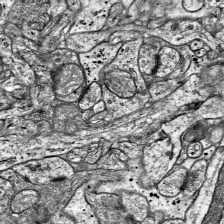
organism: Mouse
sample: Visual Cortex